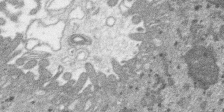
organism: Human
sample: Lung epithelial cells infected with SARS-CoV-2